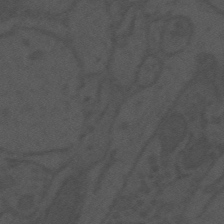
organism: Mouse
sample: Suprachiasmatic nucleus